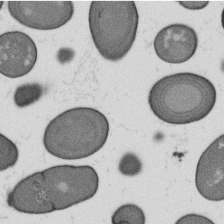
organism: B. subtilis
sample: Bacterial spore